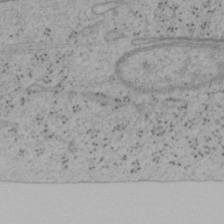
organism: Human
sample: HeLa cells